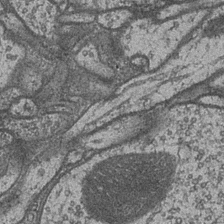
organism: Drosophila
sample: Optic medulla